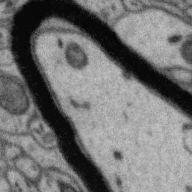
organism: Zebra finch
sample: Brain